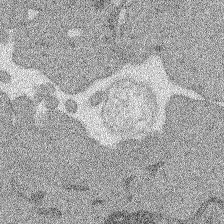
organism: Human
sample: HeLa cells